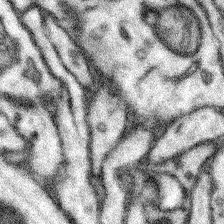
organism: Mouse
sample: Somatosensory cortex neuropil